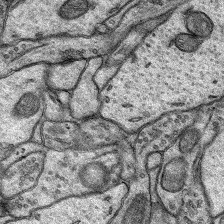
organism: Rat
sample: Hippocampus